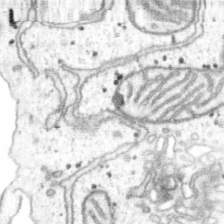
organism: Human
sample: HeLa cells